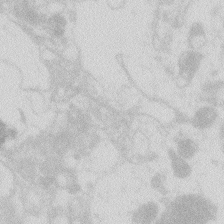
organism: Zebrafish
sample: Macrophage